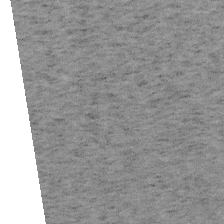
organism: Mouse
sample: OT-I killer T cells with ID8 ovarian cancer cells